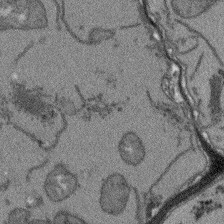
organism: Arabidopsis thaliana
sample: Root tip